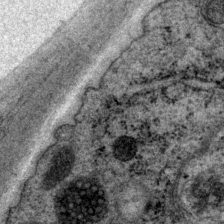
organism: P. pacificus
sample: Pharynx